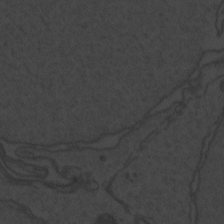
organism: Zebrafish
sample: Macrophage infected with Toxoplasma gondii